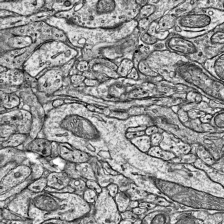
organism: Mouse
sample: Visual Cortex